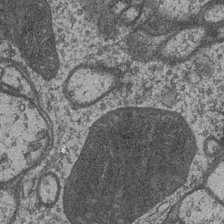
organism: Drosophila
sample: Optic medulla